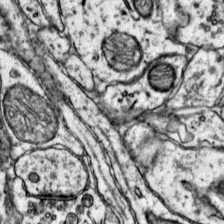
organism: Mouse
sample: Primary visual cortex